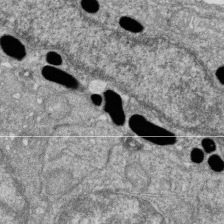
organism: Zebrafish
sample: Cilia; retinal pigment epithelium